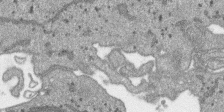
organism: Human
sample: Lung epithelial cells infected with SARS-CoV-2